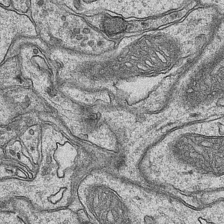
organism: Mouse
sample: CA1 Hippocampus